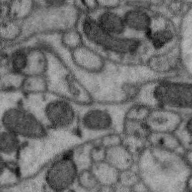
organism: Zebra finch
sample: Brain